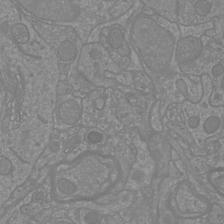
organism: Mouse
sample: Cortical neurons